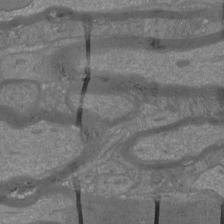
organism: Mouse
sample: Cortical neurons